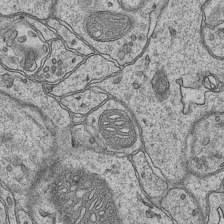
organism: Mouse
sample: CA1 Hippocampus